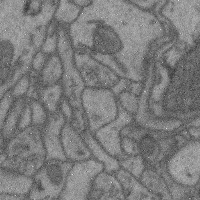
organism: Mouse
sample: Cerebral cortex